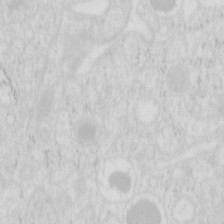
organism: Mouse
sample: Pancreas